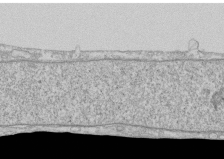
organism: Human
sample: CRL-1474